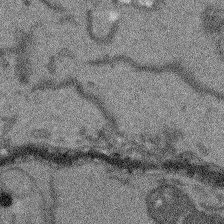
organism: Arabidopsis thaliana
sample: Root tip